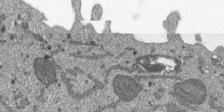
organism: Human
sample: Lung epithelial cells infected with SARS-CoV-2